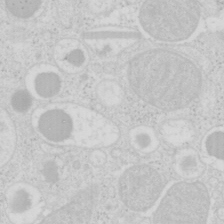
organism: Mouse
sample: Pancreas